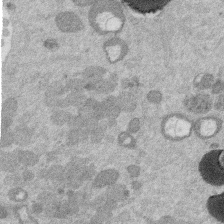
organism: Mouse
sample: Dividing mouse embryo 1 cell stage